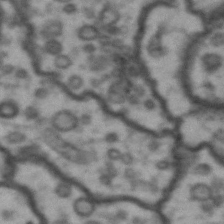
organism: Drosophila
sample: Brain